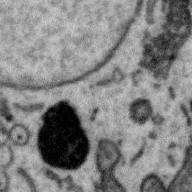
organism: Zebra finch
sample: Brain